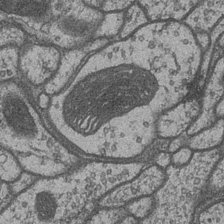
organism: Drosophila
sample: Optic medulla